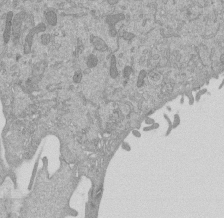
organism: Mouse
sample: ED-1 cell nuclei; centrioles